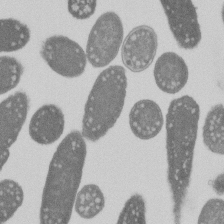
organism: E. coli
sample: Bacterial nucleoid